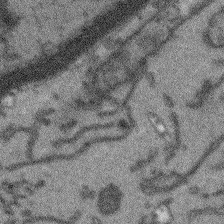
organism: Arabidopsis thaliana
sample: Root tip